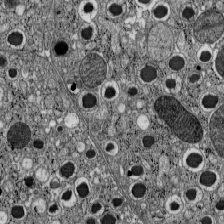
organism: C57BL Mouse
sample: Pancreatic islet